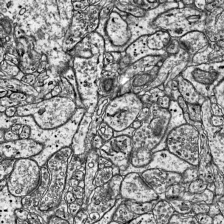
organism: Mouse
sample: Visual Cortex